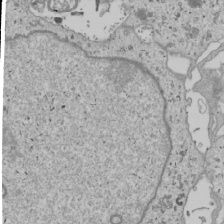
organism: Human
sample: Mitochondria in U2OS cells